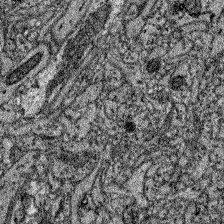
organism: Zebrafish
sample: Larval olfactory bulb